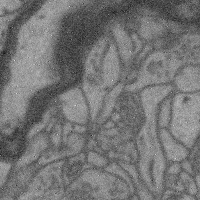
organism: Mouse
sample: Cerebral cortex